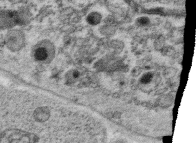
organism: C. elegans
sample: C. elegans oocyte; sperm cells